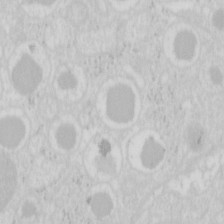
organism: Mouse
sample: Pancreas